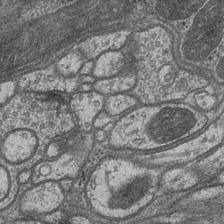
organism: Drosophila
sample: Optic medulla